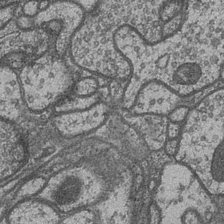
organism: Drosophila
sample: Optic medulla